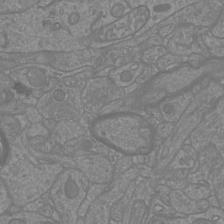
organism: Mouse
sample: Cortical neurons